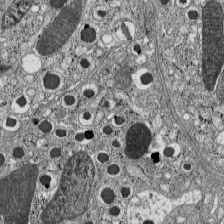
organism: C57BL Mouse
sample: Pancreatic islet